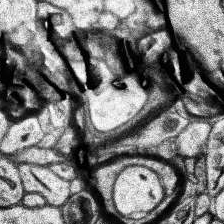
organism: Human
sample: Temporal Lobe